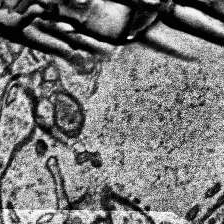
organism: Human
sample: Temporal Lobe